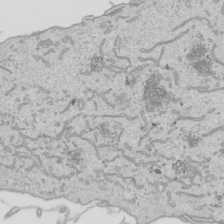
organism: Human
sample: Mitochondria in HCT116 cells